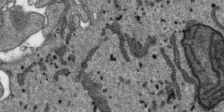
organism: Human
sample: Lung epithelial cells, uninfected (mock) control